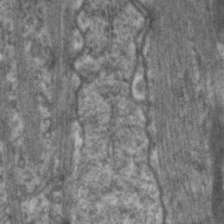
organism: C. elegans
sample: Pharynx